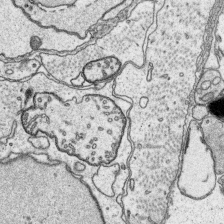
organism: Platynereis dumerilii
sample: Parapodia